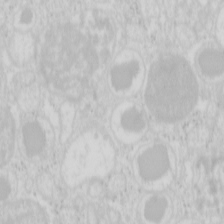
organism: Mouse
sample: Pancreas